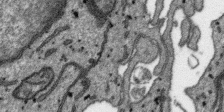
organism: Human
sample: Lung epithelial cells, uninfected (mock) control